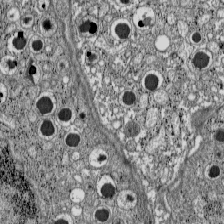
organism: C57BL Mouse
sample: Pancreatic islet